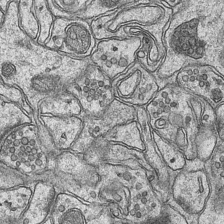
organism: Mouse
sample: CA1 Hippocampus